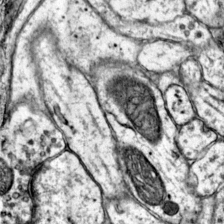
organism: Mouse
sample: Primary visual cortex